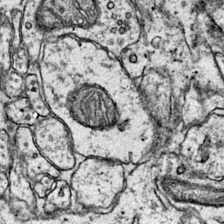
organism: Mouse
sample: Primary visual cortex